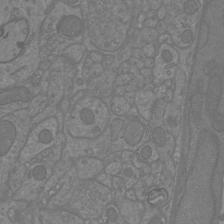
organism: Mouse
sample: Cortical neurons